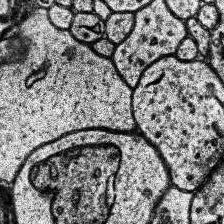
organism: Human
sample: Temporal Lobe